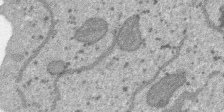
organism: Human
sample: Lung epithelial cells infected with SARS-CoV-2